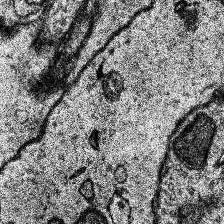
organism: Human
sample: Temporal Lobe